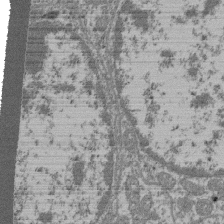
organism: Mouse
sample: Glomerulus